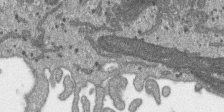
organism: Human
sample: Lung epithelial cells infected with SARS-CoV-2